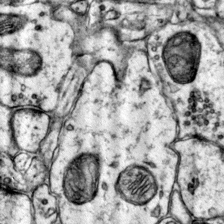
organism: Mouse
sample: Primary visual cortex